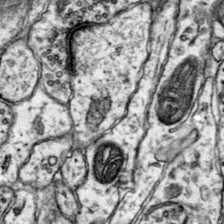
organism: Mouse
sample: Primary visual cortex